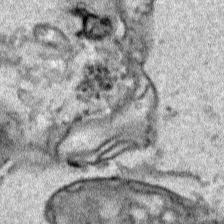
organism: Human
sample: Mitochondria in HCT116 cells